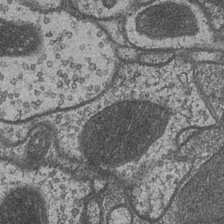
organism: Drosophila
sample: Optic medulla